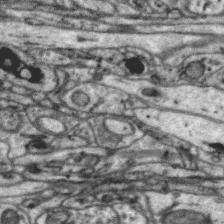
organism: Zebra finch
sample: Brain